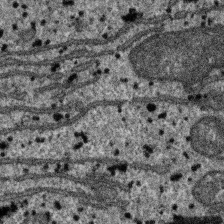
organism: Human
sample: Lung epithelial cells infected with SARS-CoV-2